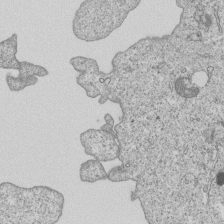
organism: Human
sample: MDA-MB-231 cells